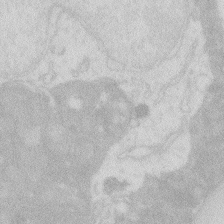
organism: Zebrafish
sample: Macrophage